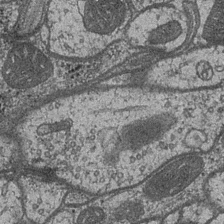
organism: Drosophila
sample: Optic medulla